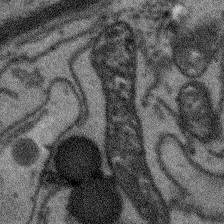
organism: Arabidopsis thaliana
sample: Root tip